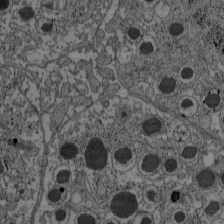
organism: C57BL Mouse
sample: Pancreatic islet